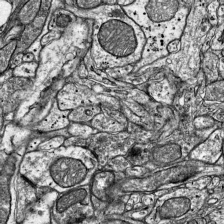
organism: Mouse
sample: Visual Cortex